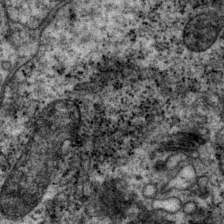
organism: P. pacificus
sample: Pharynx